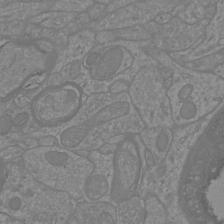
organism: Mouse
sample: Cortical neurons